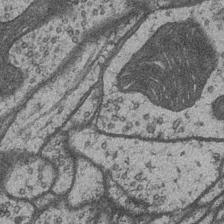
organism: Drosophila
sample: Optic medulla